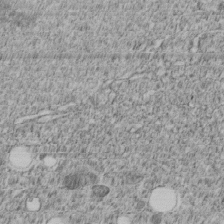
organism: C. elegans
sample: C. elegans embryo early stage